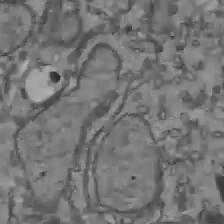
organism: C57BL Mouse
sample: Liver